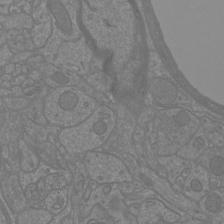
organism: Mouse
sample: Cortical neurons